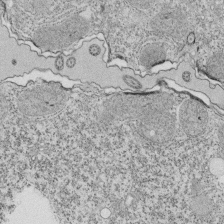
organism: Tetrahymena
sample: Cilia in tetrahymena